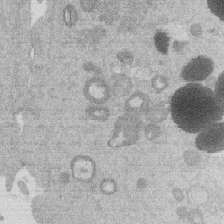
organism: Mouse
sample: Dividing mouse embryo 1 cell stage